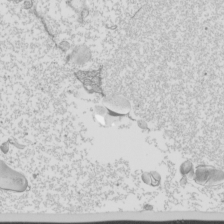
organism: Mouse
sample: Cilia; mouse epididymis